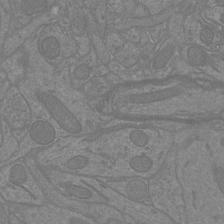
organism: Mouse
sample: Cortical neurons